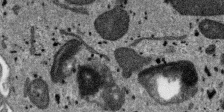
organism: Human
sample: Lung epithelial cells, uninfected (mock) control